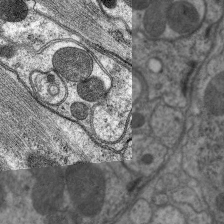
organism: C. elegans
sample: Pharynx